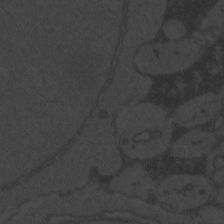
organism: Zebrafish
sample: Macrophage infected with Toxoplasma gondii